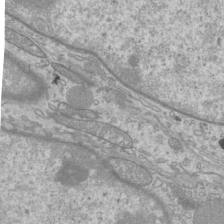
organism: Mouse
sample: Cilia; mouse epididymis